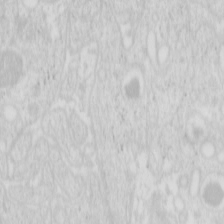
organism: Mouse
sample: Pancreas